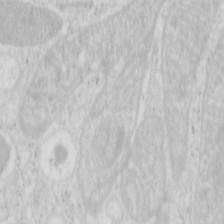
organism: Mouse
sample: Pancreas